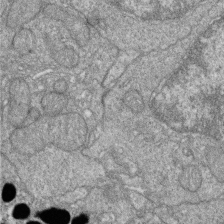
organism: Zebrafish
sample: Cilia; retinal pigment epithelium